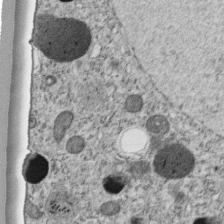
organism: C. elegans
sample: C. elegans embryo early stage